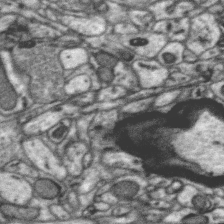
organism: Zebra finch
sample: Brain